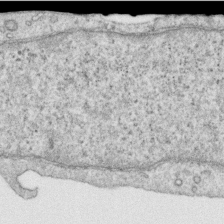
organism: Human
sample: Centriole in RPE cells